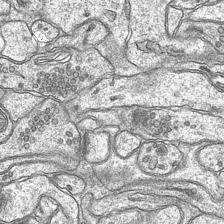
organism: Mouse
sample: CA1 Hippocampus